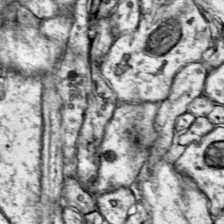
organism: Mouse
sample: Primary visual cortex